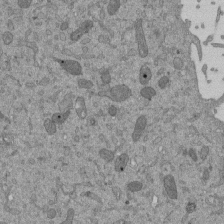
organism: Mouse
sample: ED-1 cell nuclei; centrioles